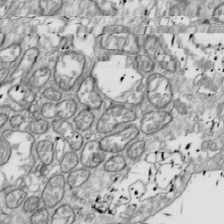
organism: Drosophila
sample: Cell division; meiosis; drosophila spermatocytes